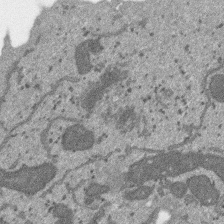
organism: Human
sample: Lung epithelial cells infected with SARS-CoV-2